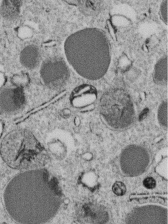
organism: C. elegans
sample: C. elegans embryo early stage